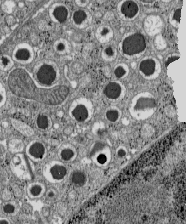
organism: C57BL Mouse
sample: Pancreatic islet